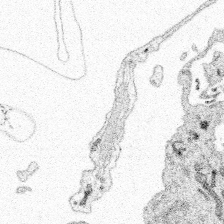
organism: Spongilla lacustris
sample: Multiple